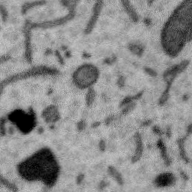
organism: Zebra finch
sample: Brain